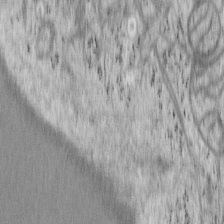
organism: Human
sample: HeLa cells